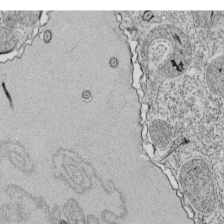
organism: Tetrahymena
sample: Cilia in tetrahymena